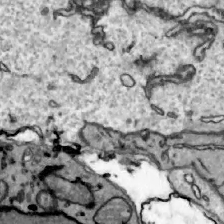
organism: Zebrafish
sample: Actinotrichia fibers